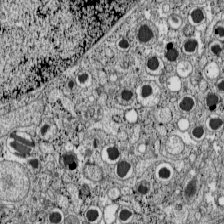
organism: C57BL Mouse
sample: Pancreatic islet